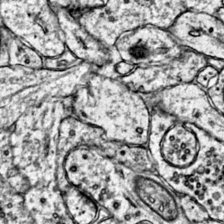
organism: Mouse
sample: Primary visual cortex